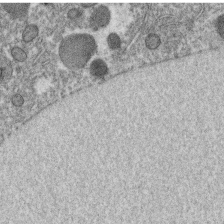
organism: C. elegans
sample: C. elegans oocyte; sperm cells